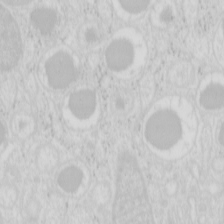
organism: Mouse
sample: Pancreas